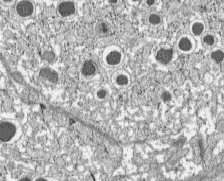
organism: C57BL Mouse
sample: Pancreatic islet